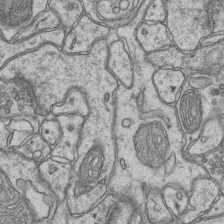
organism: Mouse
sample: CA1 Hippocampus